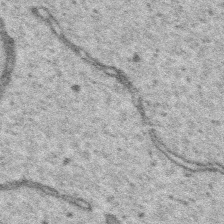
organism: Platynereis dumerilii